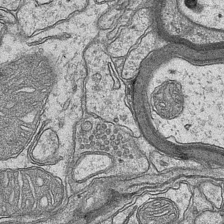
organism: Mouse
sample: CA1 Hippocampus